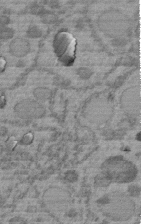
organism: C. elegans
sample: C. elegans embryo early stage